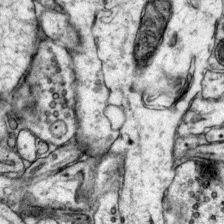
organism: Mouse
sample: Primary visual cortex